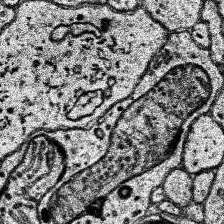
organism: Human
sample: Temporal Lobe